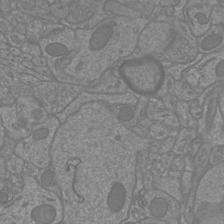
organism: Mouse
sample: Cortical neurons